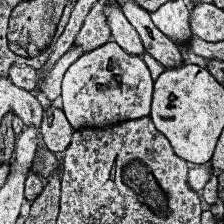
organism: Human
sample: Temporal Lobe